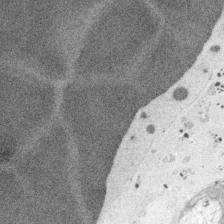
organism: Embia sp.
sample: Silk gland